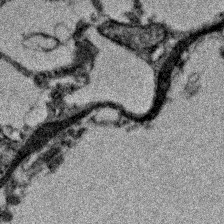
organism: Zebrafish